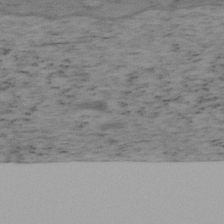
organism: Mouse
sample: OT-I killer T cells with ID8 ovarian cancer cells